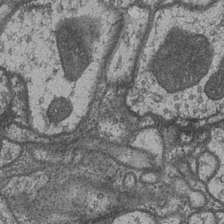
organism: Drosophila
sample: Optic medulla